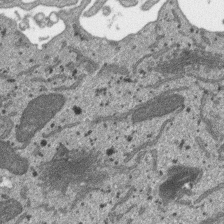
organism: Human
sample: Lung epithelial cells infected with SARS-CoV-2